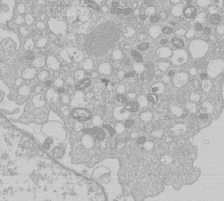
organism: Human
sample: Macrophage cells